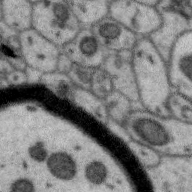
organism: Zebra finch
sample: Brain